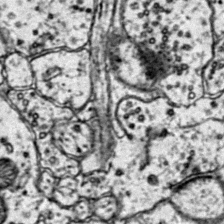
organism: Mouse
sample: Primary visual cortex